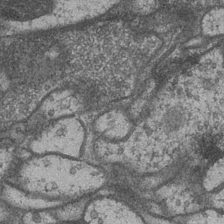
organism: Drosophila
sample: Optic medulla